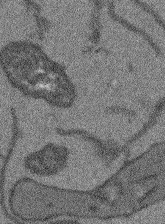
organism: Arabidopsis thaliana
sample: Root tip